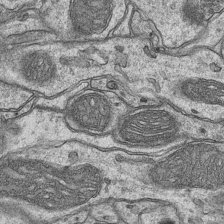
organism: Mouse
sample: CA1 Hippocampus